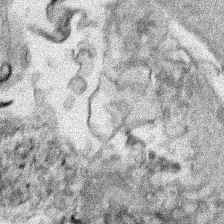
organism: Human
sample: Mitochondria in HCT116 cells